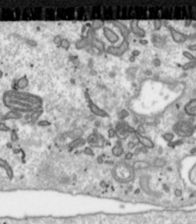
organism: Toxoplasma gondii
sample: Parasites in a vacuole inside a host cell